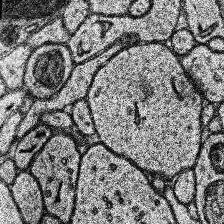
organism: Human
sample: Temporal Lobe